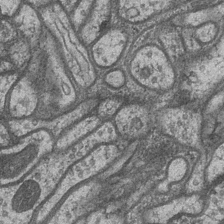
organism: Drosophila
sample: Optic medulla